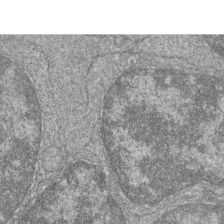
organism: Zebrafish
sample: Cilia; retinal pigment epithelium